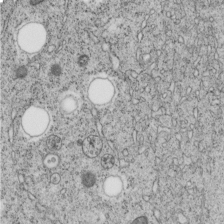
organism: C. elegans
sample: C. elegans embryo early stage